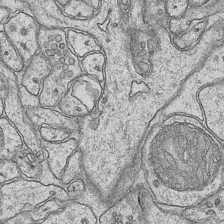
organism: Mouse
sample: CA1 Hippocampus